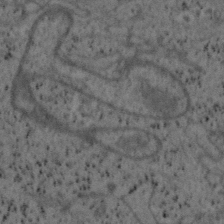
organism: Human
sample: HeLa cells